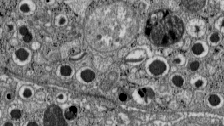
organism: C57BL Mouse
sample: Pancreatic islet